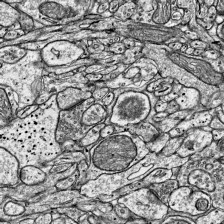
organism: Mouse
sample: Visual Cortex